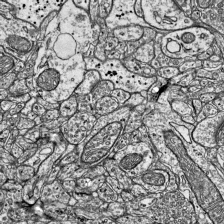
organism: Mouse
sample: Visual Cortex